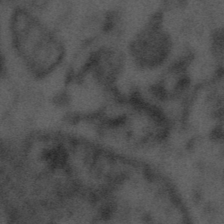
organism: Tuwongella immobilis